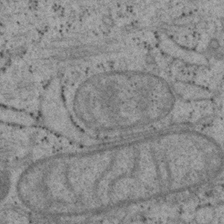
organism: Human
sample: HeLa cells